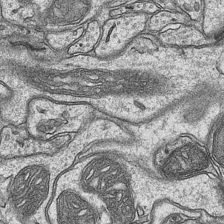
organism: Mouse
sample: CA1 Hippocampus